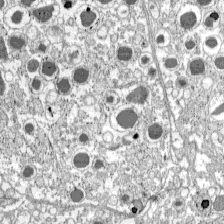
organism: C57BL Mouse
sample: Pancreatic islet